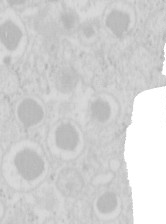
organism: Mouse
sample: Pancreas